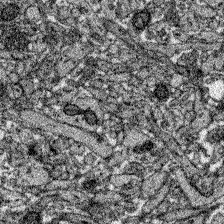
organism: Zebrafish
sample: Larval olfactory bulb